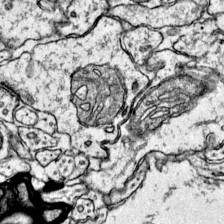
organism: Mouse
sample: Primary visual cortex